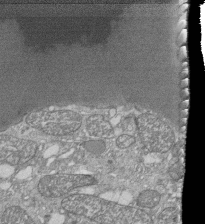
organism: Tetrahymena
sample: Cilia in tetrahymena